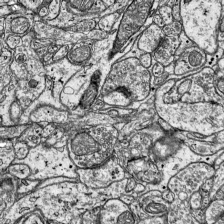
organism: Mouse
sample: Visual Cortex